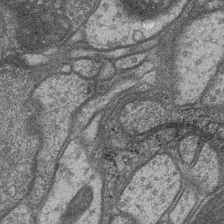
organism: Drosophila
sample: Optic medulla